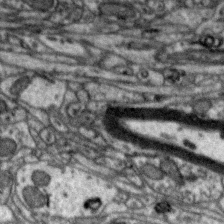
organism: Zebra finch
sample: Brain